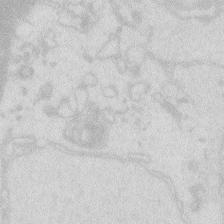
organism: Zebrafish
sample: Macrophage